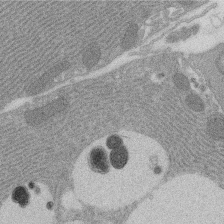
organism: Rat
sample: Salivary granule